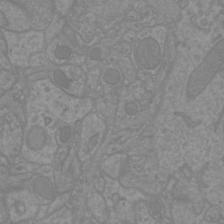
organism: Mouse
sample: Cortical neurons